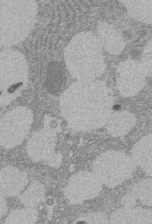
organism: Rat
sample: Salivary granule